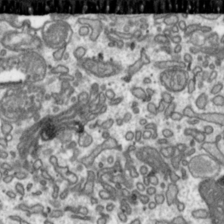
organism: Toxoplasma gondii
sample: Parasites in a vacuole inside a host cell